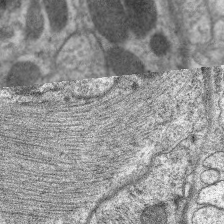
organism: C. elegans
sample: Pharynx